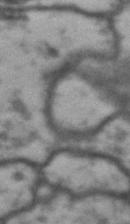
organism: Drosophila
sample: Brain